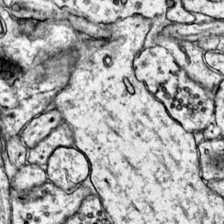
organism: Mouse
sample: Primary visual cortex